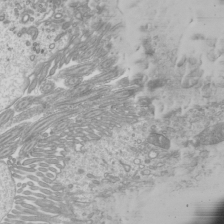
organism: Mouse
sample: Cilia; mouse epididymis